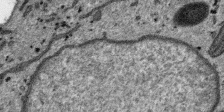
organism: Human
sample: Lung epithelial cells, uninfected (mock) control